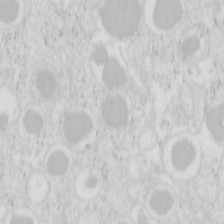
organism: Mouse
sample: Pancreas